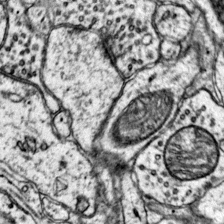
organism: Mouse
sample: Primary visual cortex